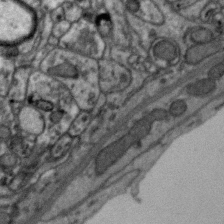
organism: Zebra finch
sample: Brain